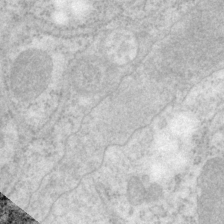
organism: P. pacificus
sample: Pharynx